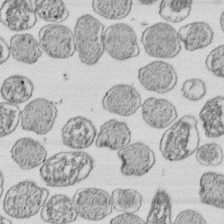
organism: E. coli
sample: Bacterial nucleoid